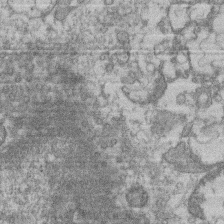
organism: Mouse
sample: T cell stromal cell synapse